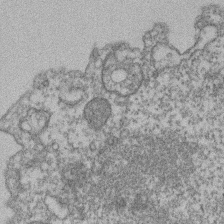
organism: Mouse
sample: T cell stromal cell synapse